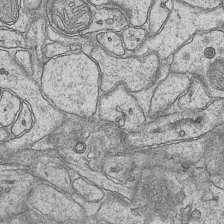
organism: Mouse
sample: CA1 Hippocampus